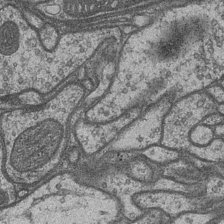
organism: Drosophila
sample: Optic medulla